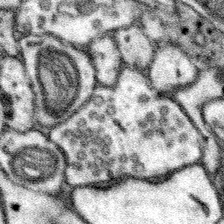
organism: Mouse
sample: Somatosensory cortex neuropil